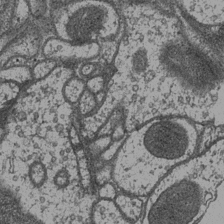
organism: Drosophila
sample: Optic medulla